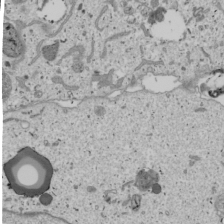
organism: Human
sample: Mitochondria in U2OS cells